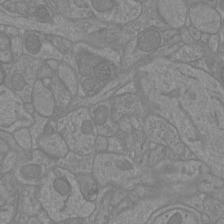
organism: Mouse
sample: Cortical neurons